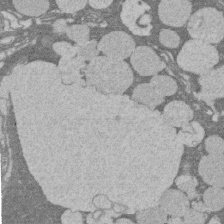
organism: Rat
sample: Salivary granule